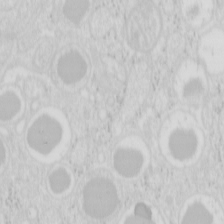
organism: Mouse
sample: Pancreas